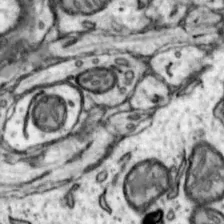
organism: Mouse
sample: Nucleus accumbens